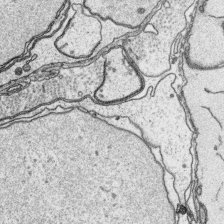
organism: Platynereis dumerilii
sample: Parapodia